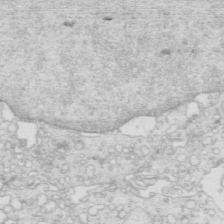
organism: Mouse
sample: Multiciliated cells